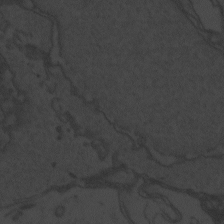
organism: Zebrafish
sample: Macrophage infected with Toxoplasma gondii